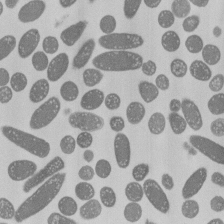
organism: E. coli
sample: Bacterial nucleoid